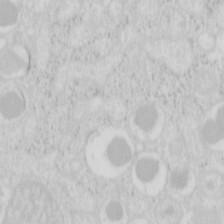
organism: Mouse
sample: Pancreas